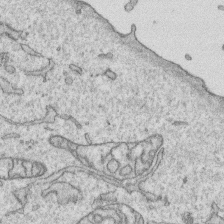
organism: Human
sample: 1205lu cells